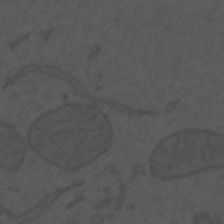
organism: Mouse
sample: Suprachiasmatic nucleus